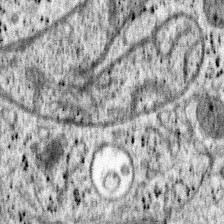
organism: Human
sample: HeLa cells